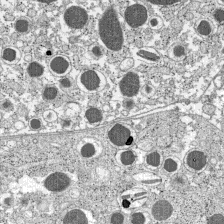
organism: C57BL Mouse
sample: Pancreatic islet